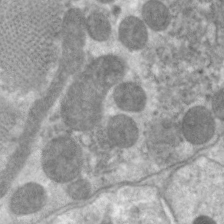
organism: C. elegans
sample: Pharynx